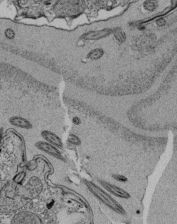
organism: Tetrahymena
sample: Cilia in tetrahymena